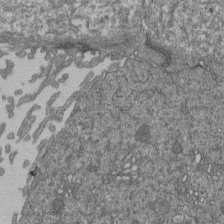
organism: Human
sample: Retinal organoid Rod and Cone cells